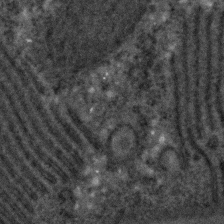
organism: C. elegans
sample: C. elegans embryo